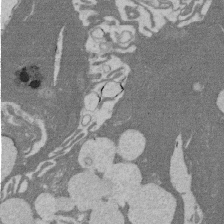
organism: Rat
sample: Salivary granule